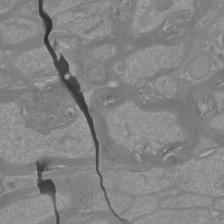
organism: Mouse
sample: Cortical neurons